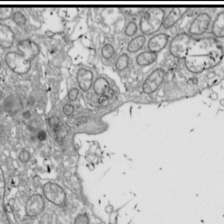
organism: Drosophila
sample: Cell division; meiosis; drosophila spermatocytes